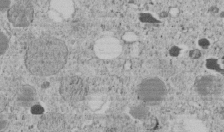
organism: C. elegans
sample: C. elegans embryo early stage